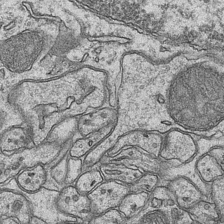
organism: Mouse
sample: CA1 Hippocampus